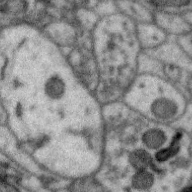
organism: Zebra finch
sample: Brain